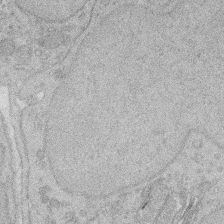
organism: Rat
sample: Salivary granule